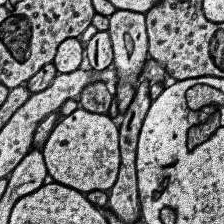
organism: Human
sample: Temporal Lobe